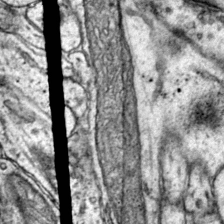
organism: Mouse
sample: Primary visual cortex